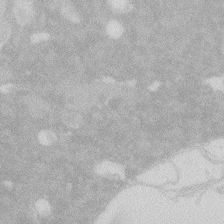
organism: Zebrafish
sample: Macrophage